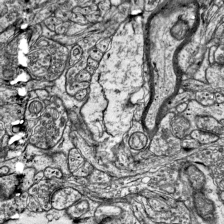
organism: Mouse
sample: Visual Cortex